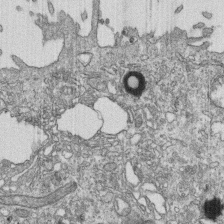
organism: Human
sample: HeLa cell HIV synapse